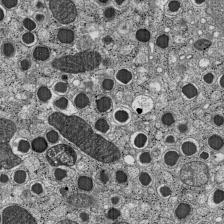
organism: C57BL Mouse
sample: Pancreatic islet